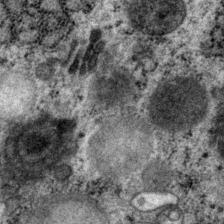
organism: P. pacificus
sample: Pharynx